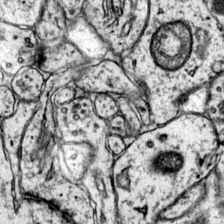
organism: Mouse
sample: Primary visual cortex